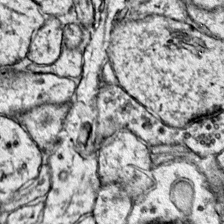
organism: Mouse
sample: Primary visual cortex